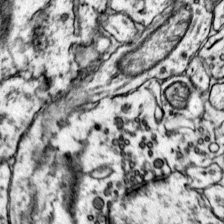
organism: Mouse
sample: Primary visual cortex